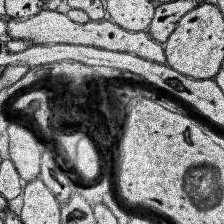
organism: Human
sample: Temporal Lobe